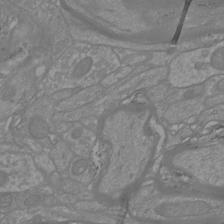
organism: Mouse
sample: Cortical neurons